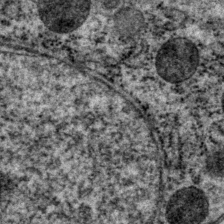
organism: P. pacificus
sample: Pharynx